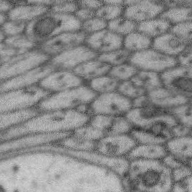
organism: Zebra finch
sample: Brain